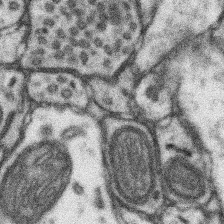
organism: Mouse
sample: Somatosensory cortex neuropil